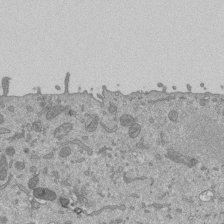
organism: Mouse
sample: ED-1 cell nuclei; centrioles